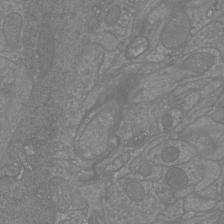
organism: Mouse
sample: Cortical neurons